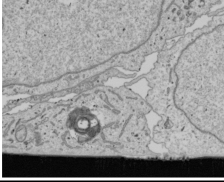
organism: Human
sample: Mitochondria in U2OS cells